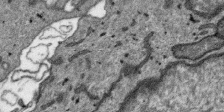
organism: Human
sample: Lung epithelial cells, uninfected (mock) control